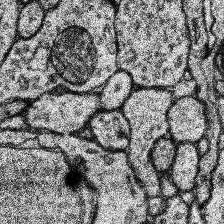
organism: Human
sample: Temporal Lobe